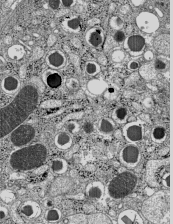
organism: C57BL Mouse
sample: Pancreatic islet